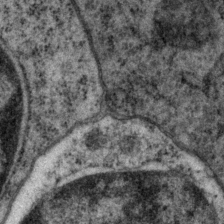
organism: P. pacificus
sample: Pharynx